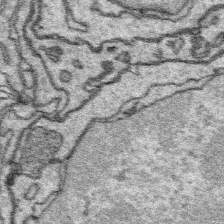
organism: Platynereis dumerilii